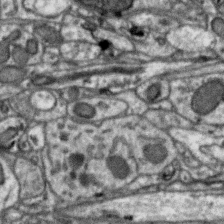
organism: Zebra finch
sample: Brain